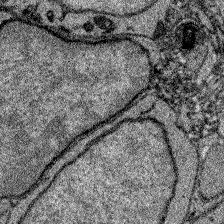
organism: Zebrafish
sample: Larval olfactory bulb